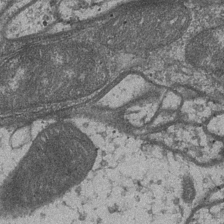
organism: Drosophila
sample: Optic medulla